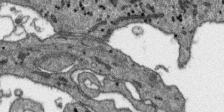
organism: Human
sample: Lung epithelial cells, uninfected (mock) control